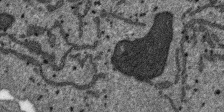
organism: Human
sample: Lung epithelial cells infected with SARS-CoV-2